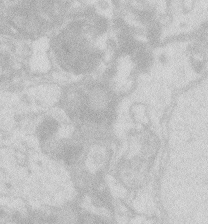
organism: Zebrafish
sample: Macrophage